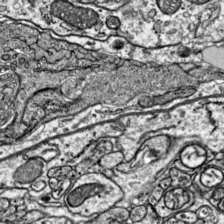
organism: Mouse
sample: Visual Cortex